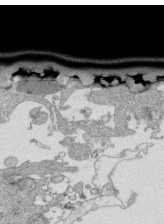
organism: Human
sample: HeLa cell HIV synapse